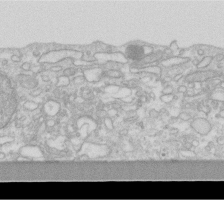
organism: Human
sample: Fibroblast cells